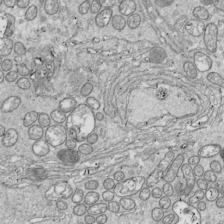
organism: Drosophila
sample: Cell division; meiosis; drosophila spermatocytes